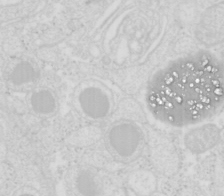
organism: Mouse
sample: Pancreas